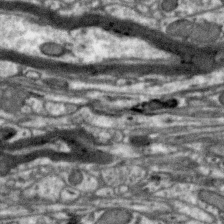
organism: Zebra finch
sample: Brain